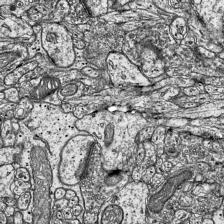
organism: Mouse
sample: Visual Cortex